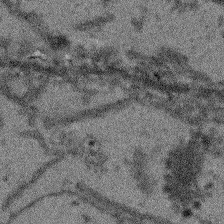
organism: Arabidopsis thaliana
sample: Root tip